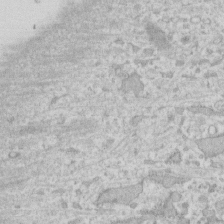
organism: Human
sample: Fibroblast cells